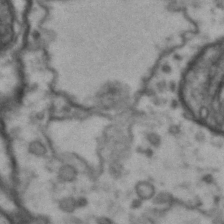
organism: Drosophila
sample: Brain